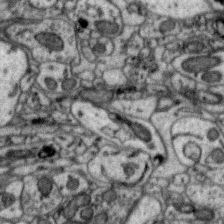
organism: Zebra finch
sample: Brain